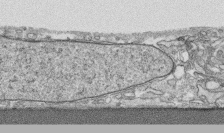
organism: Human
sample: CRL-1474